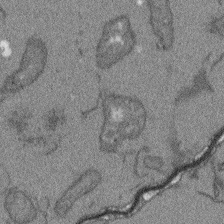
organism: Arabidopsis thaliana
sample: Root tip